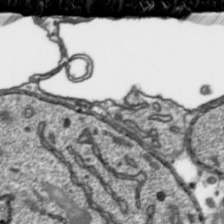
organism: Toxoplasma gondii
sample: Parasites in a vacuole inside a host cell